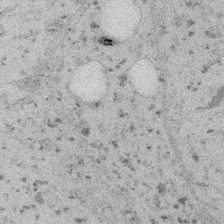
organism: Embia sp.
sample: Silk gland